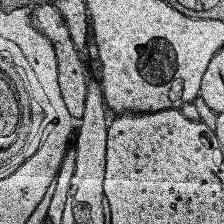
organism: Human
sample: Temporal Lobe